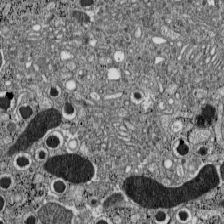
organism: C57BL Mouse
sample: Pancreatic islet